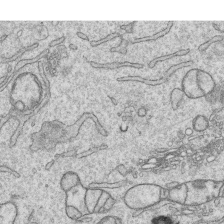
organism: Human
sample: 1205lu cells